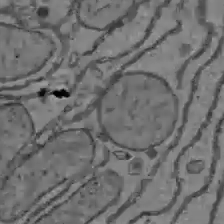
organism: C57BL Mouse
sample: Liver